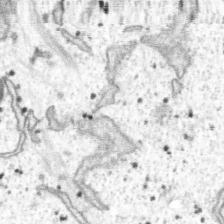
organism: Human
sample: HeLa cells